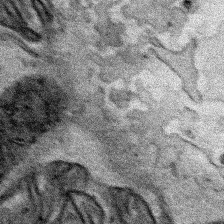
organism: Human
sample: Mitochondria in HCT116 cells